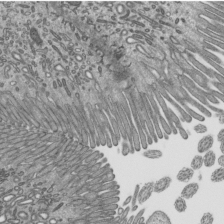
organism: Mouse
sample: Mouse epididymis efferent ductule cilia